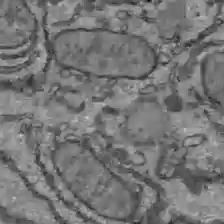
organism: C57BL Mouse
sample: Liver